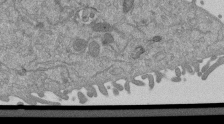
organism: Mouse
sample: ED-1 cell nuclei; centrioles